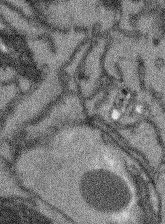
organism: Arabidopsis thaliana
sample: Root tip